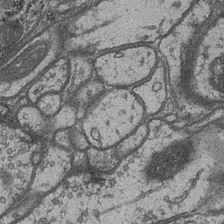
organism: Drosophila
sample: Optic medulla